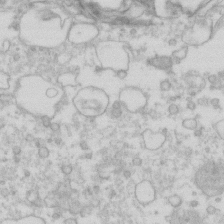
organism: Human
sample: Fibroblast cells